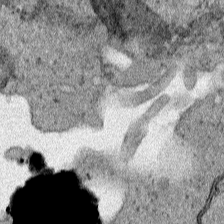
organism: Human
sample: Mitochondria in HCT116 cells